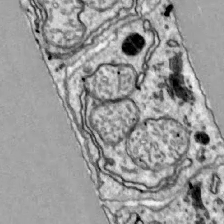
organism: Zebrafish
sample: Actinotrichia fibers